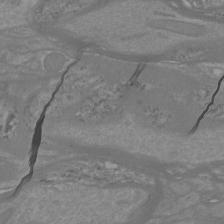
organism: Mouse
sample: Cortical neurons